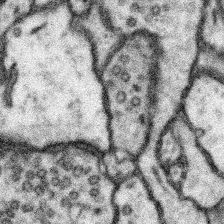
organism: Mouse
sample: Somatosensory cortex neuropil